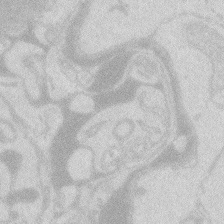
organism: Zebrafish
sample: Macrophage